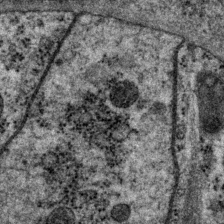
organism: P. pacificus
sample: Pharynx